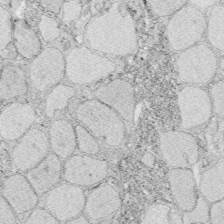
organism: Zebrafish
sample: Whole-Brain